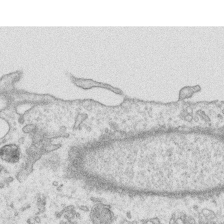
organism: Human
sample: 1205lu cells